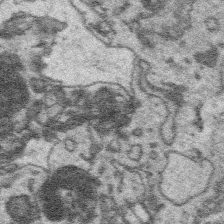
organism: Platynereis dumerilii